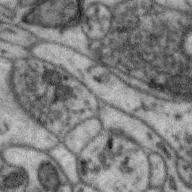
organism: Zebra finch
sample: Brain